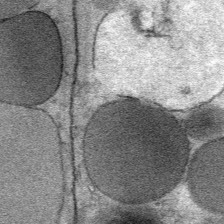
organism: Mouse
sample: Mouse Salivary gland